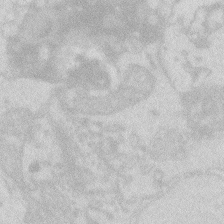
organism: Zebrafish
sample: Macrophage